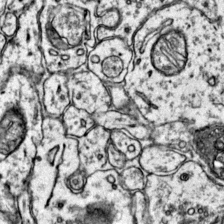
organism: Mouse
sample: Primary visual cortex